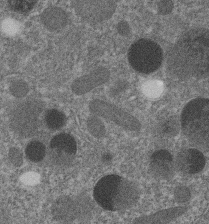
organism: C. elegans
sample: C. elegans embryo early stage